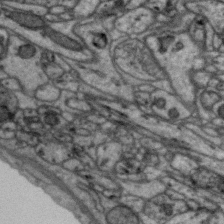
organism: Zebra finch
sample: Brain